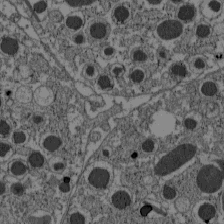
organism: C57BL Mouse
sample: Pancreatic islet